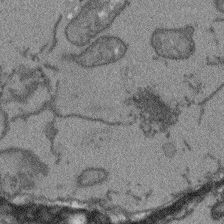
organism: Arabidopsis thaliana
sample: Root tip